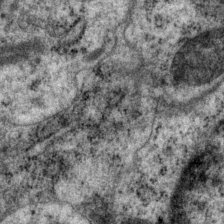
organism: P. pacificus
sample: Pharynx